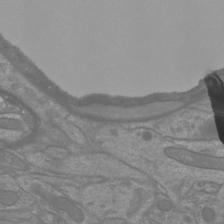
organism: Mouse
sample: Cortical neurons